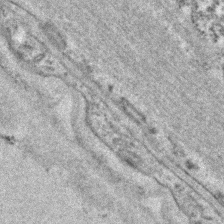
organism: C. elegans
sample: C. elegans embryo